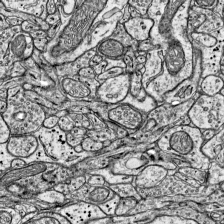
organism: Mouse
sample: Visual Cortex